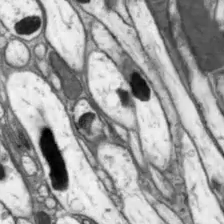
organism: Drosophila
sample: Optic lobe